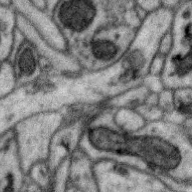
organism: Zebra finch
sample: Brain